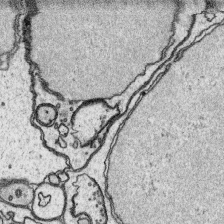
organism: Platynereis dumerilii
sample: Parapodia